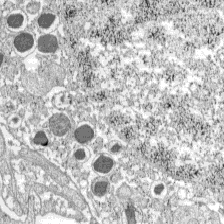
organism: C57BL Mouse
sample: Pancreatic islet